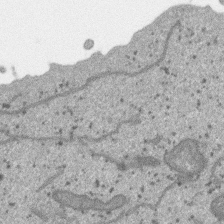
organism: Human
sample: Lung epithelial cells infected with SARS-CoV-2